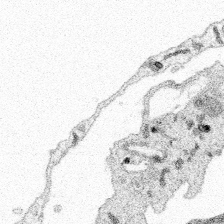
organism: Spongilla lacustris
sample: Multiple